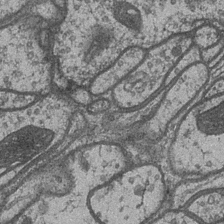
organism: Drosophila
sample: Optic medulla